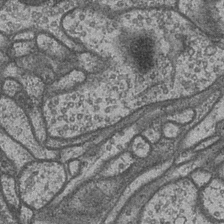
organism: Drosophila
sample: Optic medulla